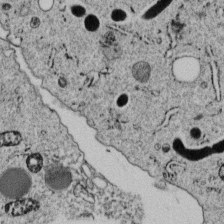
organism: C. elegans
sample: C. elegans embryo early stage